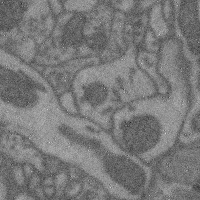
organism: Mouse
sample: Cerebral cortex